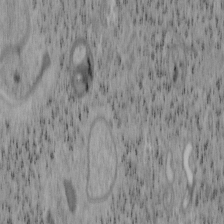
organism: Human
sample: HeLa cells